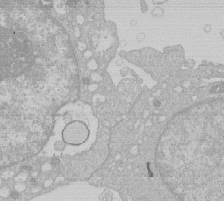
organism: Human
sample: Macrophage cells